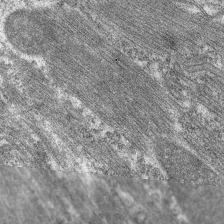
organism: C. elegans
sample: Pharynx